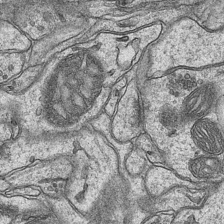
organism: Mouse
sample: CA1 Hippocampus